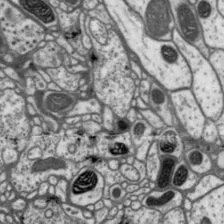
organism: Drosophila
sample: Protocerebral bridge